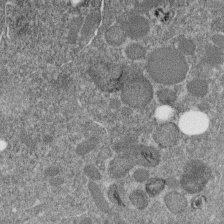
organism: C. elegans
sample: C. elegans embryo early stage